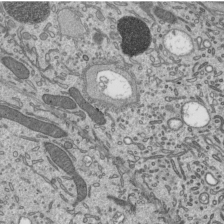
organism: Mouse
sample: Mouse epididymis efferent ductule cilia